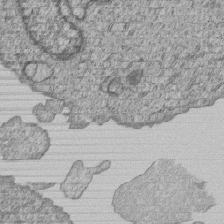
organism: Human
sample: MDA-MB-231 cells